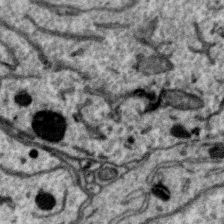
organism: Zebra finch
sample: Brain